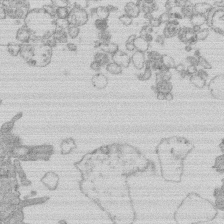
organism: Human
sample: Macrophage cells